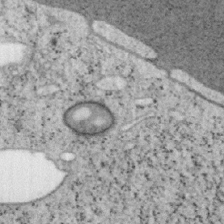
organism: Mouse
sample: OT-I killer T cells with ID8 ovarian cancer cells